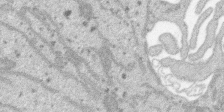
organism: Human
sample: Lung epithelial cells infected with SARS-CoV-2